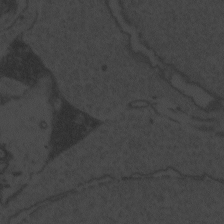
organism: Zebrafish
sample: Macrophage infected with Toxoplasma gondii